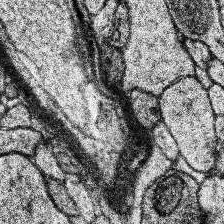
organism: Human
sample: Temporal Lobe